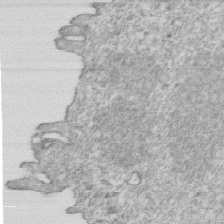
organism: Mouse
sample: Activated OT-1 CD8+ T cells